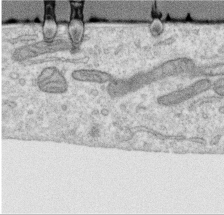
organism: Human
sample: Centriole in RPE cells